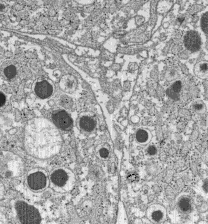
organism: C57BL Mouse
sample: Pancreatic islet